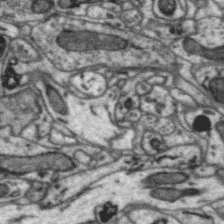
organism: Zebra finch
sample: Brain